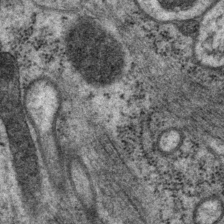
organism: P. pacificus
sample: Pharynx